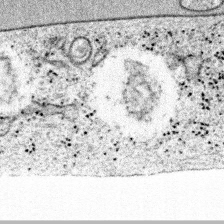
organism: Human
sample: HeLa cells